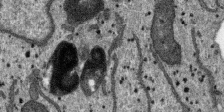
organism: Human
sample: Lung epithelial cells, uninfected (mock) control